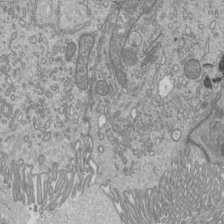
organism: Mouse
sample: Cilia; mouse epididymis